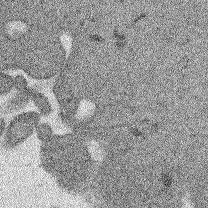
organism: Human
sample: HeLa cells